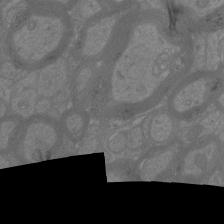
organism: Mouse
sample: Cortical neurons